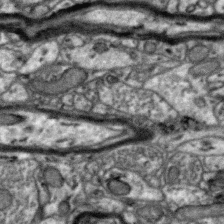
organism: Zebra finch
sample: Brain